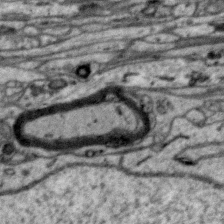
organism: Zebra finch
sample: Brain